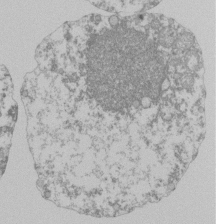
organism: Mouse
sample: Activated Pmel transgenic CD8+ T Cells